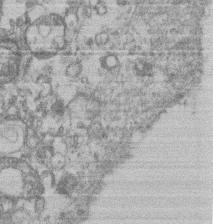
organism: Mouse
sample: T cell stromal cell synapse